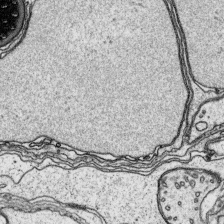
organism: Platynereis dumerilii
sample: Parapodia